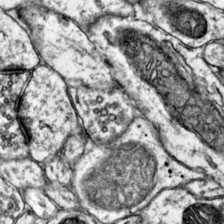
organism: Mouse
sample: Primary visual cortex